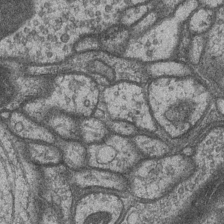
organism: Drosophila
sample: Optic medulla